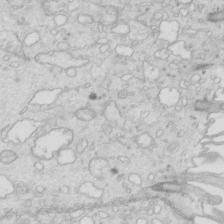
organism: Mouse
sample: Multiciliated cells